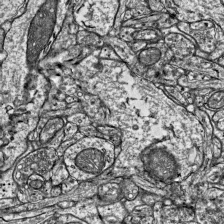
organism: Mouse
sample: Visual Cortex